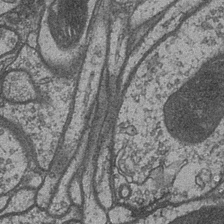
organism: Drosophila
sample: Optic medulla